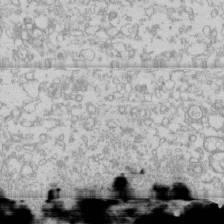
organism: Human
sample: CRL-1474